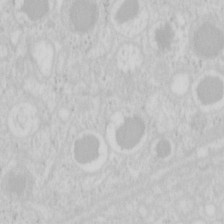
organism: Mouse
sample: Pancreas